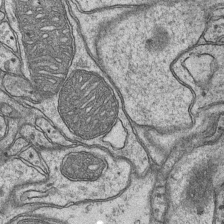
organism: Mouse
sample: CA1 Hippocampus